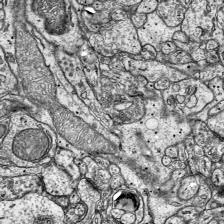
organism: Mouse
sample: Visual Cortex